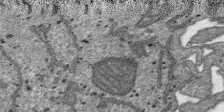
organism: Human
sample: Lung epithelial cells infected with SARS-CoV-2